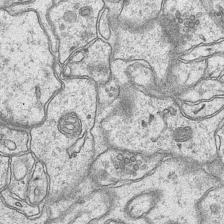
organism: Mouse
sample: CA1 Hippocampus